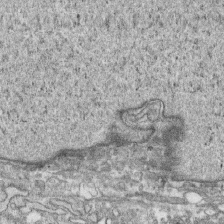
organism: Human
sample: CRL-1474